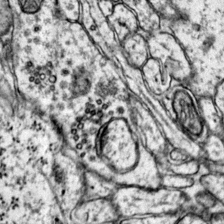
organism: Mouse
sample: Primary visual cortex